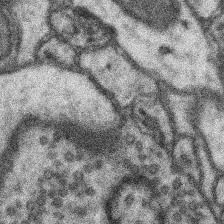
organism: Mouse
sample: Somatosensory cortex neuropil